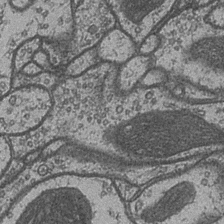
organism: Drosophila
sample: Optic medulla